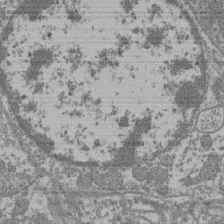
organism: Mouse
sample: Glomerulus